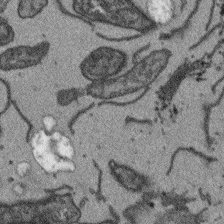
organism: Arabidopsis thaliana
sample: Root tip